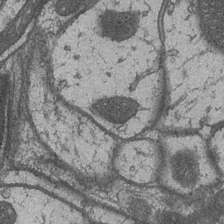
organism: Drosophila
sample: Optic medulla